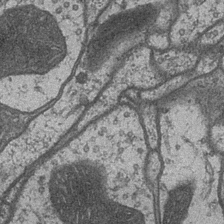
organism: Drosophila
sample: Optic medulla